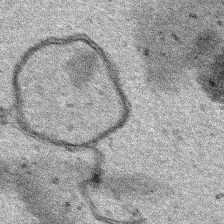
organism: Human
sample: Mitochondria in HCT116 cells